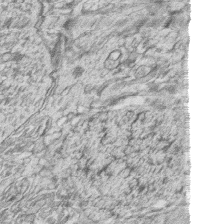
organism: Zebrafish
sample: synaptic ribbons in rod cells and cone cells